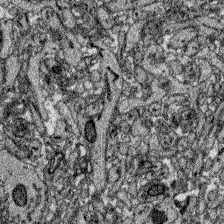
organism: Zebrafish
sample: Larval olfactory bulb